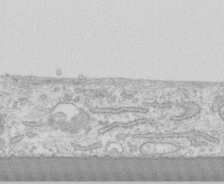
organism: Human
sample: CRL-1474